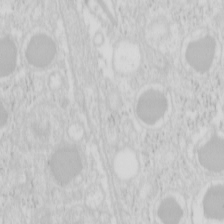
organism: Mouse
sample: Pancreas